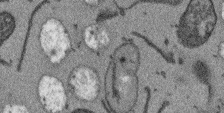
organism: Arabidopsis thaliana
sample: Root tip